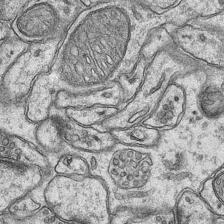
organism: Mouse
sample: CA1 Hippocampus